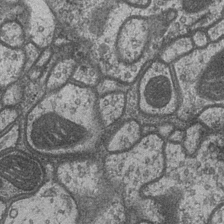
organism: Drosophila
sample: Optic medulla